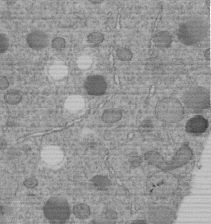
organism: C. elegans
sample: C. elegans embryo early stage